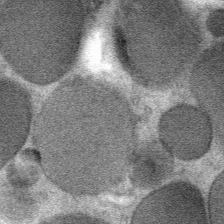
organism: Mouse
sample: Mouse Salivary gland